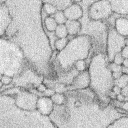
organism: Rabbit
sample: Retina